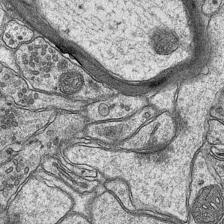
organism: Mouse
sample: CA1 Hippocampus